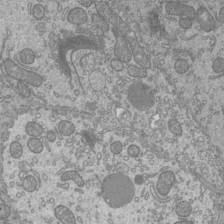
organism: Mouse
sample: Cilia; mouse epididymis